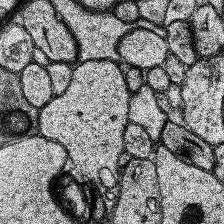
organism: Human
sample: Temporal Lobe